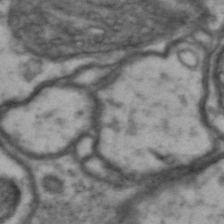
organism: Drosophila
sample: Brain